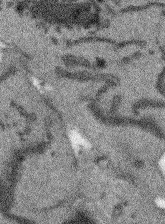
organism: Arabidopsis thaliana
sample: Root tip